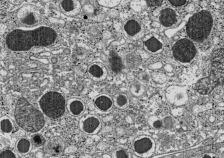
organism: C57BL Mouse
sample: Pancreatic islet